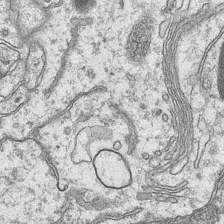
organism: Mouse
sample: CA1 Hippocampus